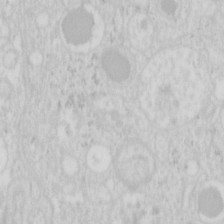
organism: Mouse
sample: Pancreas